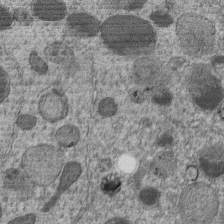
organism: C. elegans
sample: C. elegans embryo early stage